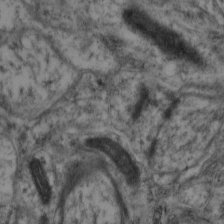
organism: Mouse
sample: Neocortex